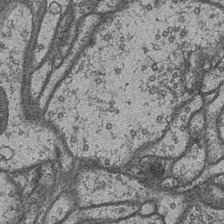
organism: Drosophila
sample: Optic medulla